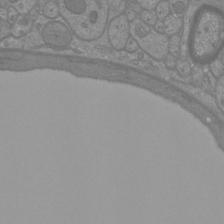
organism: Mouse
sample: Cortical neurons